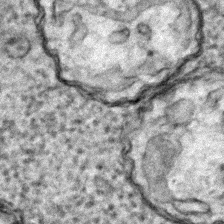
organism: Zebrafish